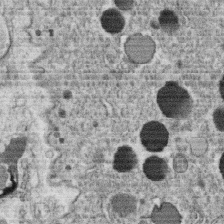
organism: C. elegans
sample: C. elegans oocyte; sperm cells